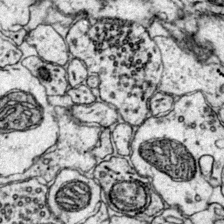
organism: Mouse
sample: Primary visual cortex